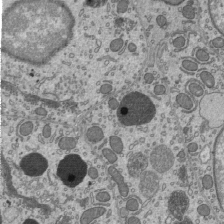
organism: Mouse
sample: Mouse epididymis efferent ductule cilia